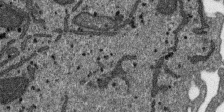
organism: Human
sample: Lung epithelial cells infected with SARS-CoV-2